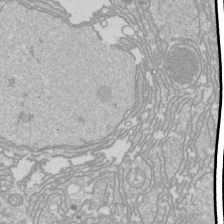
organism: Drosophila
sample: Cell division; meiosis; drosophila spermatocytes